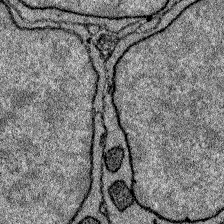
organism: Zebrafish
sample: Larval olfactory bulb